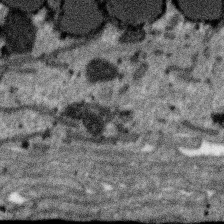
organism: Human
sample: Lung epithelial cells infected with SARS-CoV-2